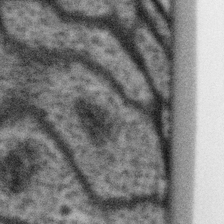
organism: Gemmata obscuriglobus